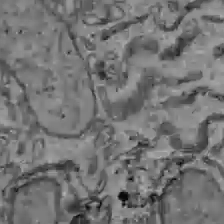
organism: C57BL Mouse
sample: Liver